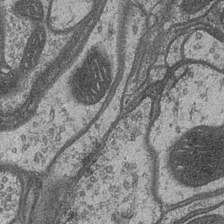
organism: Drosophila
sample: Optic medulla